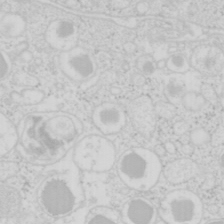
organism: Mouse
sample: Pancreas